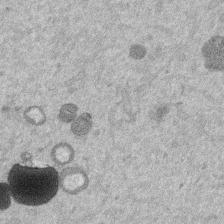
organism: Mouse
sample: Dividing mouse embryo 1 cell stage